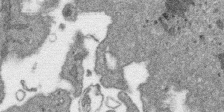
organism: Human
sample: Lung epithelial cells infected with SARS-CoV-2